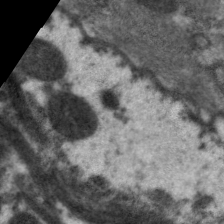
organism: C. elegans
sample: Pharynx